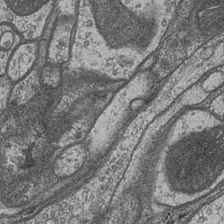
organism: Drosophila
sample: Optic medulla